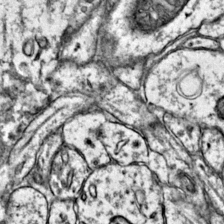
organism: Mouse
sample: Primary visual cortex